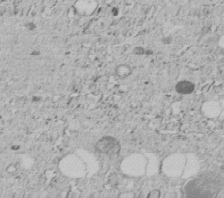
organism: C. elegans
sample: C. elegans embryo early stage